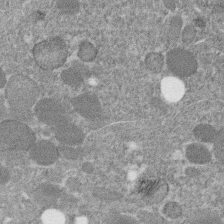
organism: C. elegans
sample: C. elegans embryo early stage